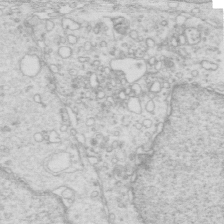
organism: Mouse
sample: Multiciliated cells